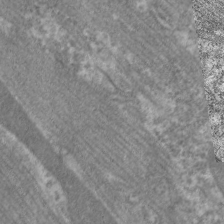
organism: C. elegans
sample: Pharynx